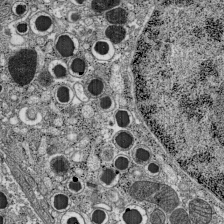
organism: C57BL Mouse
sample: Pancreatic islet